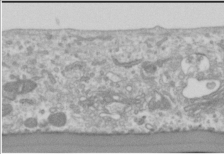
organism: Human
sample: Cilia; basal body in RPE cells